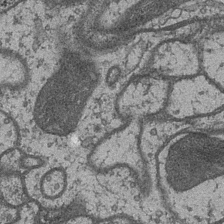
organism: Drosophila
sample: Optic medulla